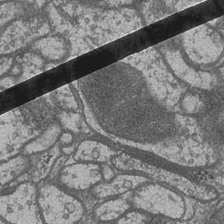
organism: Drosophila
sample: Optic medulla